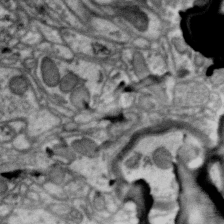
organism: Zebra finch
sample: Brain